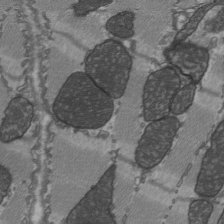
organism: C57BL Mouse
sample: Heart